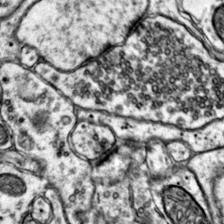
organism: Mouse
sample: Primary visual cortex